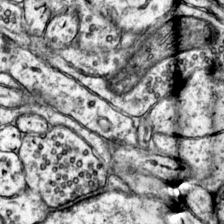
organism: Mouse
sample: Primary visual cortex